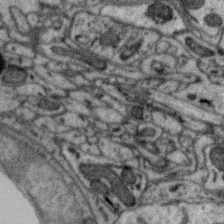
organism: Zebra finch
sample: Brain